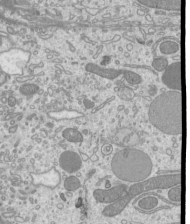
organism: Mouse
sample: Cilia; mouse epididymis